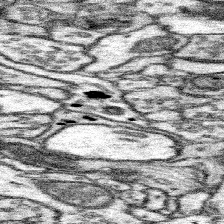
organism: Mouse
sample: Somatosensory cortex neuropil